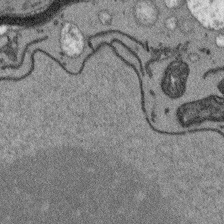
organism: Arabidopsis thaliana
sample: Root tip